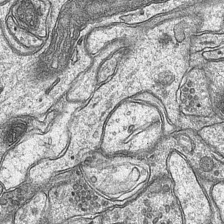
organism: Mouse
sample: CA1 Hippocampus